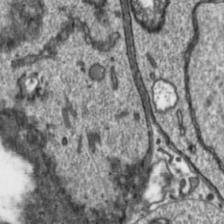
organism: Toxoplasma gondii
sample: Parasites in a vacuole inside a host cell